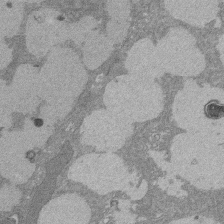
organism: Rat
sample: Salivary granule